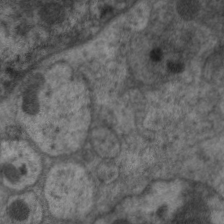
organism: C. elegans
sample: Pharynx